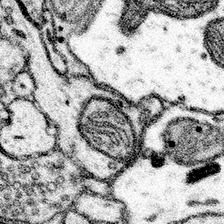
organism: Mouse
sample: Somatosensory cortex neuropil